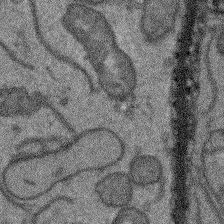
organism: Arabidopsis thaliana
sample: Root tip